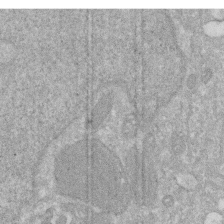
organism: Human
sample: HIV infected U937 cells